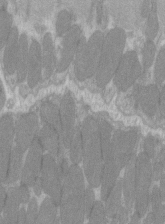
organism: C57BL Mouse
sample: Tibialis anterior muscle cell